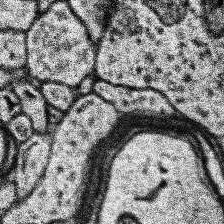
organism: Human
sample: Temporal Lobe